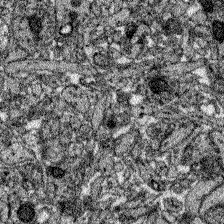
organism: Zebrafish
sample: Larval olfactory bulb